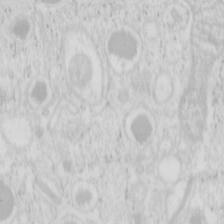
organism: Mouse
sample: Pancreas